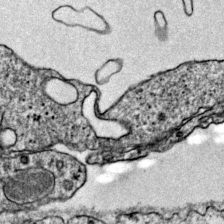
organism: Mouse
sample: Primary visual cortex